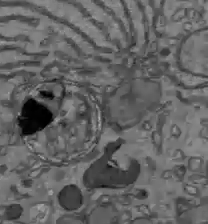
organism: C57BL Mouse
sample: Liver